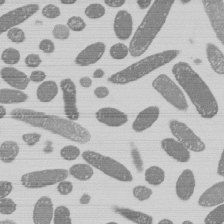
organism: E. coli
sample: Bacterial nucleoid